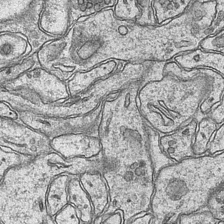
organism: Mouse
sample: CA1 Hippocampus